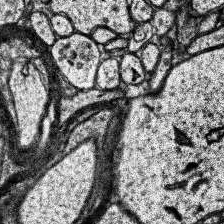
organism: Human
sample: Temporal Lobe